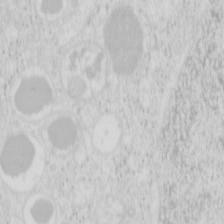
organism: Mouse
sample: Pancreas